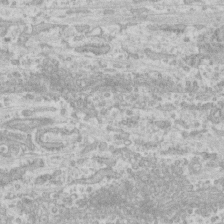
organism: Human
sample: CRL-1474